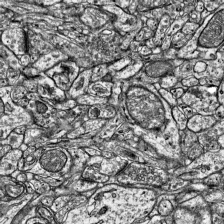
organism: Mouse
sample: Visual Cortex